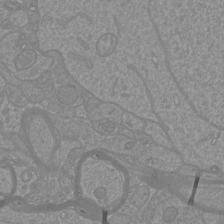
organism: Mouse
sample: Cortical neurons